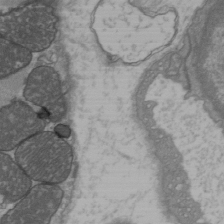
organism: C57BL Mouse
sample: Heart